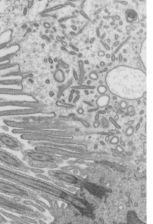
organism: Mouse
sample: Mouse epididymis efferent ductule cilia